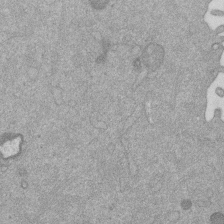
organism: Mouse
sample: Dividing mouse embryo 1 cell stage